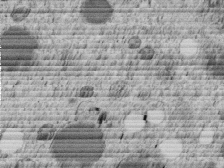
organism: C. elegans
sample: C. elegans embryo early stage